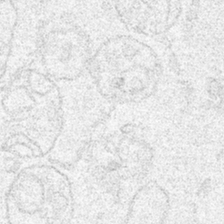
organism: Human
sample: Mitochondria in HCT116 cells